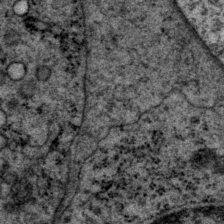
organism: P. pacificus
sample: Pharynx